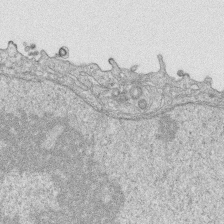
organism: Human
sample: HeLa cell HIV synapse